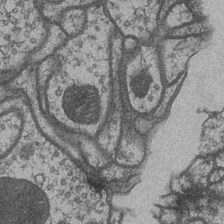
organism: Drosophila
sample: Optic medulla